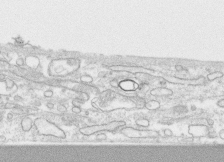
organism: Human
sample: CRL-1474